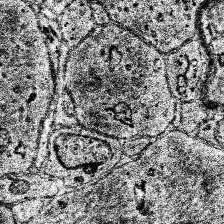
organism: Human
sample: Temporal Lobe